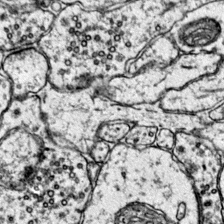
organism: Mouse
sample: Primary visual cortex